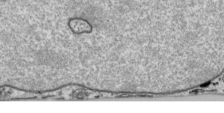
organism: Human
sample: Mitochondria in HCT116 cells